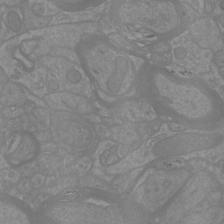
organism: Mouse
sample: Cortical neurons